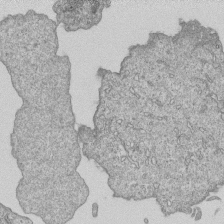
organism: Human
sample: MDA-MB-231 cells